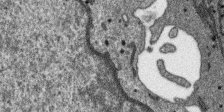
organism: Human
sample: Lung epithelial cells infected with SARS-CoV-2